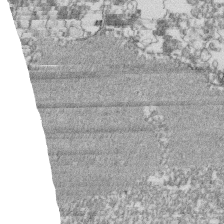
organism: Human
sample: HeLa cell HIV synapse